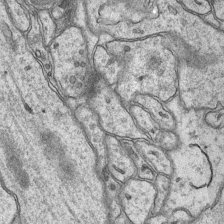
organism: Mouse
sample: CA1 Hippocampus